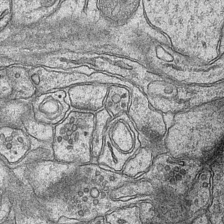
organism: Mouse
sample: CA1 Hippocampus